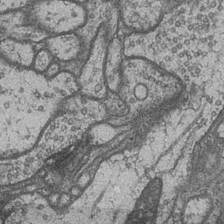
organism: Drosophila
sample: Optic medulla